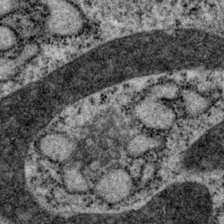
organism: P. pacificus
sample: Pharynx